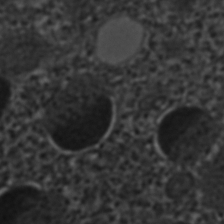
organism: C. elegans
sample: C. elegans embryo